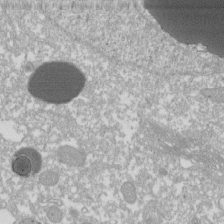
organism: Xenopus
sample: Cilia; centrioles in frog embryo cells